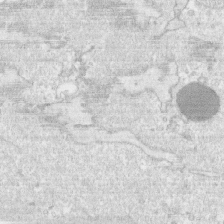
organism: Human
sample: CRL-1474